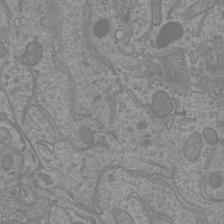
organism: Mouse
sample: Cortical neurons